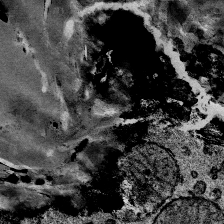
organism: Mouse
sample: Mouse Salivary gland